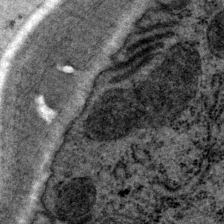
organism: P. pacificus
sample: Pharynx